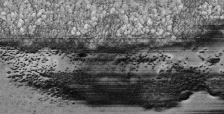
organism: Tetrahymena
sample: Cilia in tetrahymena